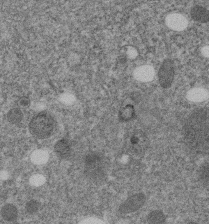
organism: C. elegans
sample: C. elegans embryo early stage